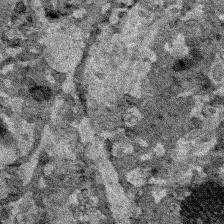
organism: Human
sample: Mitochondria in HCT116 cells